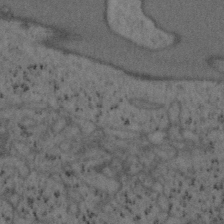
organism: Human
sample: HeLa cells